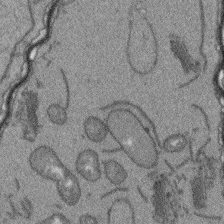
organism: Arabidopsis thaliana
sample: Root tip